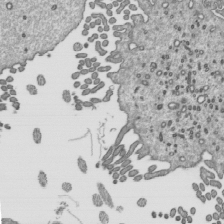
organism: Mouse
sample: Mouse epididymis efferent ductule cilia